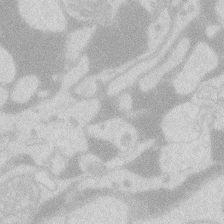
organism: Zebrafish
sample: Macrophage